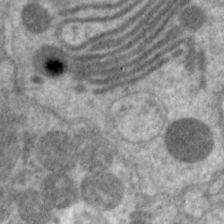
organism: C. elegans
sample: Pharynx